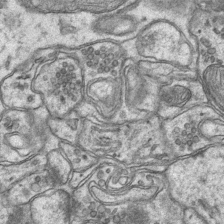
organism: Mouse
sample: CA1 Hippocampus